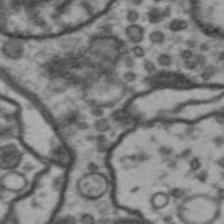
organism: Drosophila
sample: Brain